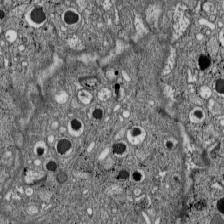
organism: C57BL Mouse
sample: Pancreatic islet